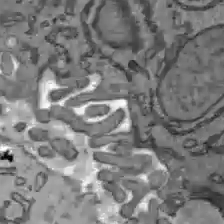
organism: C57BL Mouse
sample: Liver